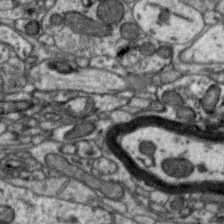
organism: Zebra finch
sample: Brain